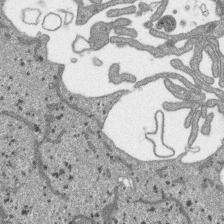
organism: Human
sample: Lung epithelial cells infected with SARS-CoV-2